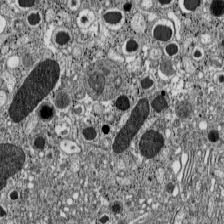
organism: C57BL Mouse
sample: Pancreatic islet